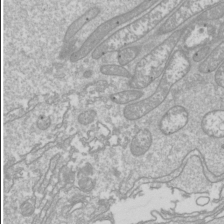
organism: Drosophila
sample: Cell division; meiosis; drosophila spermatocytes